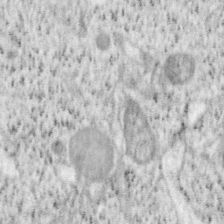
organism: Mouse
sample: OT-I killer T cells with ID8 ovarian cancer cells